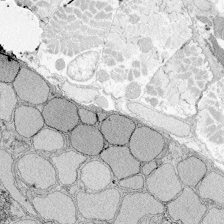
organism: Zebrafish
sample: Whole-Brain